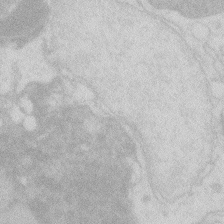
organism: Zebrafish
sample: Macrophage